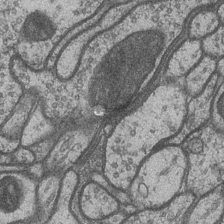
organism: Drosophila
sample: Optic medulla